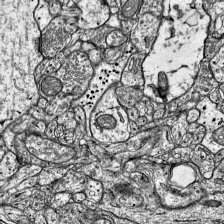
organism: Mouse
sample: Visual Cortex